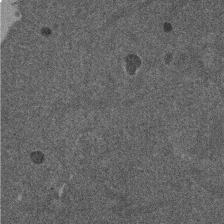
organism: Mouse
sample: Dividing mouse embryo 1 cell stage